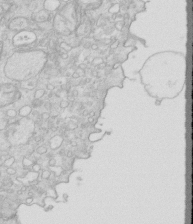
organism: Mouse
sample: Multiciliated cells